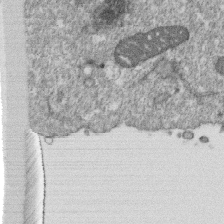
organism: African green monkey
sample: Vero E6 cells infected with SARS-CoV-2